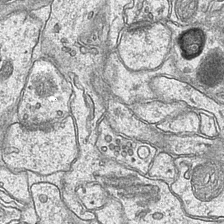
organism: Mouse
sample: CA1 Hippocampus